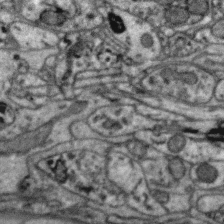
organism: Zebra finch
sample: Brain